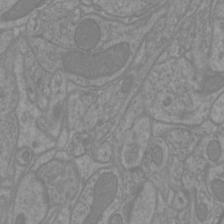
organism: Mouse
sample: Cortical neurons